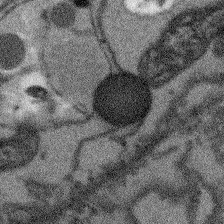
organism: Arabidopsis thaliana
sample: Root tip